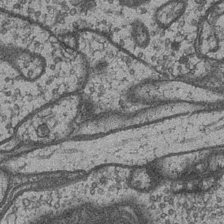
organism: Drosophila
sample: Optic medulla